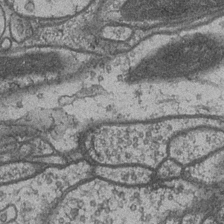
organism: Drosophila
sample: Optic medulla